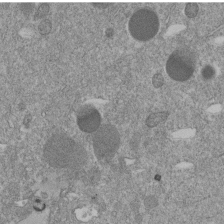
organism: C. elegans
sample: C. elegans embryo early stage